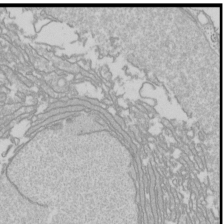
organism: Drosophila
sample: Cell division; meiosis; drosophila spermatocytes